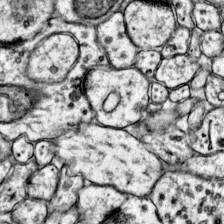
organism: Mouse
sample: Primary visual cortex